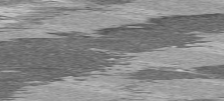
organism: C57BL Mouse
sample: Heart